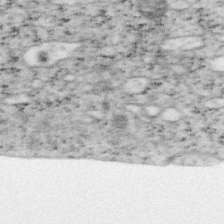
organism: Mouse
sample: OT-I killer T cells with ID8 ovarian cancer cells